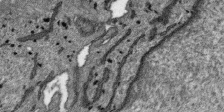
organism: Human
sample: Lung epithelial cells, uninfected (mock) control